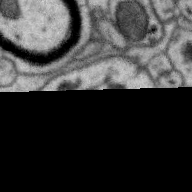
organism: Zebra finch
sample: Brain